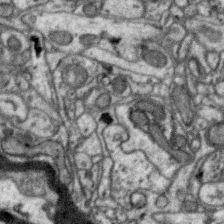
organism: Zebra finch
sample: Brain